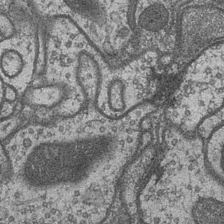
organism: Drosophila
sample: Optic medulla